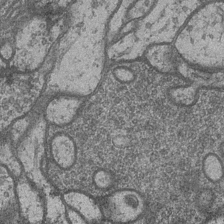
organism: Drosophila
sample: Optic medulla